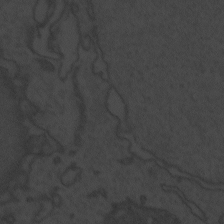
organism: Zebrafish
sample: Macrophage infected with Toxoplasma gondii